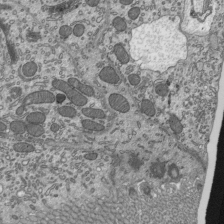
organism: Mouse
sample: Mouse epididymis efferent ductule cilia